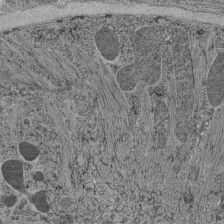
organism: C. elegans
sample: C. elegans pharynx